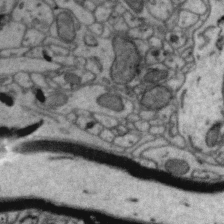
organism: Zebra finch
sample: Brain